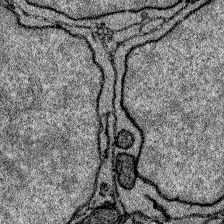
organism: Zebrafish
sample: Larval olfactory bulb